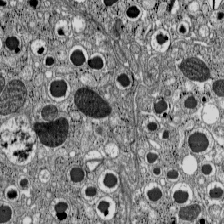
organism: C57BL Mouse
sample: Pancreatic islet